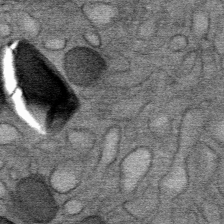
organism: Mouse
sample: Mouse Salivary gland